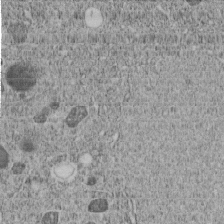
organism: C. elegans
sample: C. elegans embryo early stage